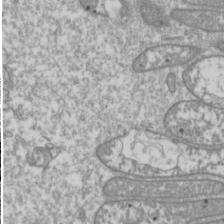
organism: Drosophila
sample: Cell division; meiosis; drosophila spermatocytes